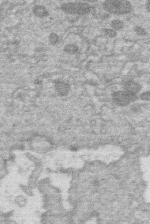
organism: Human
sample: Macrophage cells